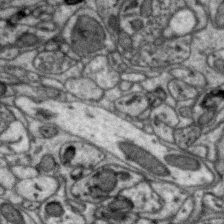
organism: Zebra finch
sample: Brain